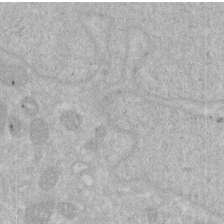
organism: Human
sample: HIV infected U937 cells